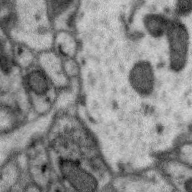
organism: Zebra finch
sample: Brain